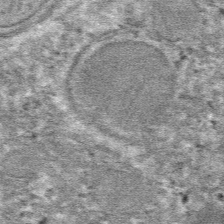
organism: Mouse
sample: Mouse hepatocytes